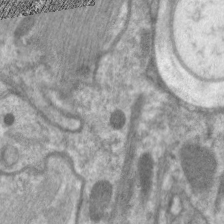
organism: C. elegans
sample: Pharynx